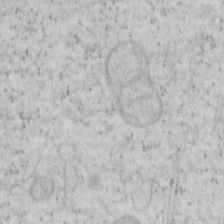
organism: Human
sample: HeLa cells